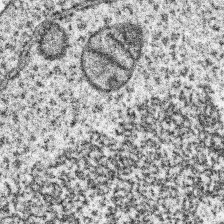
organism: Human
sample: HeLa cells